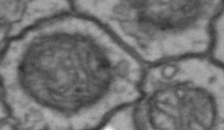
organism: Drosophila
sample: Brain